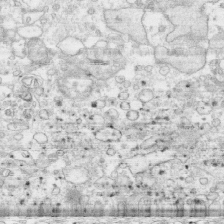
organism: Human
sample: CRL-1474